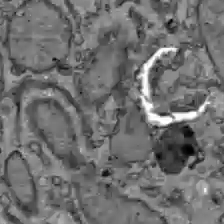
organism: C57BL Mouse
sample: Liver